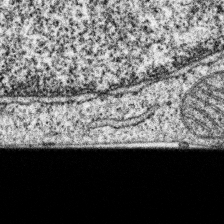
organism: Human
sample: HeLa cells